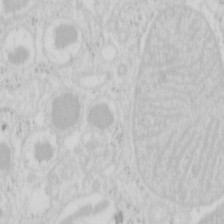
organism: Mouse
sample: Pancreas